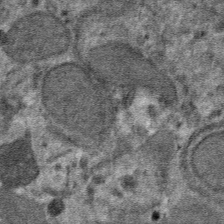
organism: Mouse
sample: Mouse hepatocytes